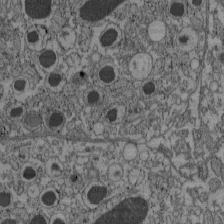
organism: C57BL Mouse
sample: Pancreatic islet